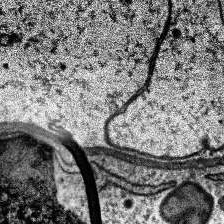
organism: Human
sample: Temporal Lobe